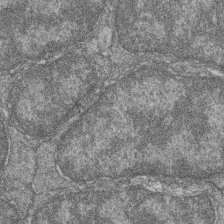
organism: Zebrafish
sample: Cilia; retinal pigment epithelium